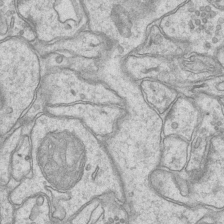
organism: Mouse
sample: CA1 Hippocampus